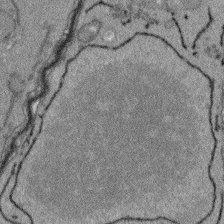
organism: Arabidopsis thaliana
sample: Root tip